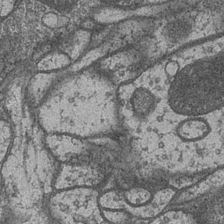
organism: Drosophila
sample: Optic medulla